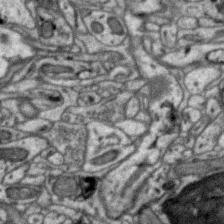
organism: Zebra finch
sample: Brain